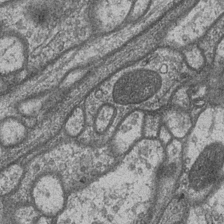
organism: Drosophila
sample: Optic medulla